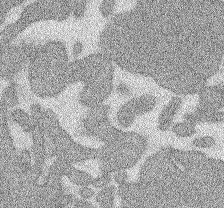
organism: Human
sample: HeLa cells